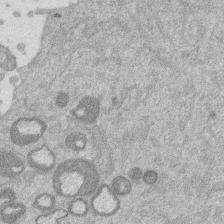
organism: Mouse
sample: Dividing mouse embryo 1 cell stage